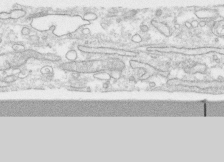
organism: Human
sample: CRL-1474